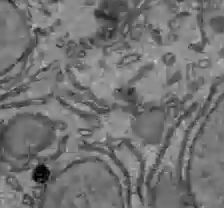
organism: C57BL Mouse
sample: Liver